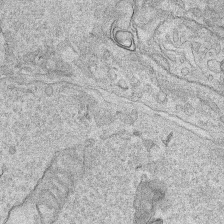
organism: Human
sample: Mitochondria in HCT116 cells